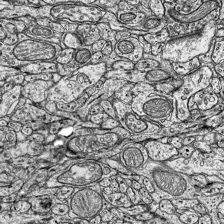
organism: Mouse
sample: Visual Cortex